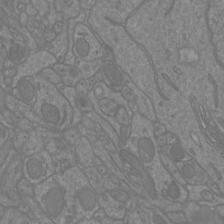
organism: Mouse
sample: Cortical neurons